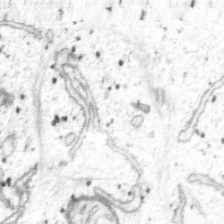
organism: Human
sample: HeLa cells